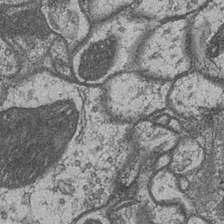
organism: Drosophila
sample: Optic medulla